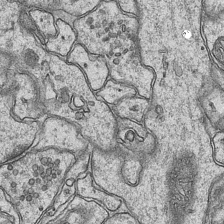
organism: Mouse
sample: CA1 Hippocampus